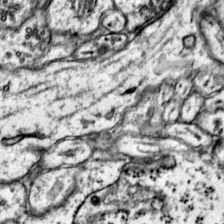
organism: Mouse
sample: Primary visual cortex